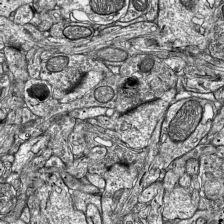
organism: Mouse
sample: Visual Cortex